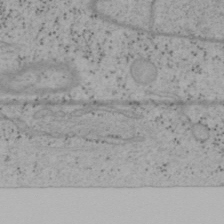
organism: Human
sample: HeLa cells